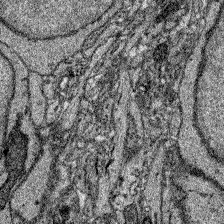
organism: Zebrafish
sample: Larval olfactory bulb